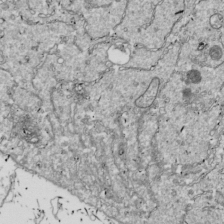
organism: Drosophila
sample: Cell division; meiosis; drosophila spermatocytes